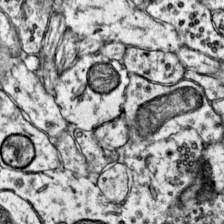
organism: Mouse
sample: Primary visual cortex